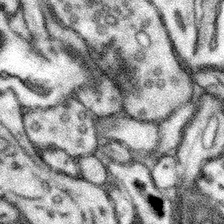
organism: Mouse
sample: Somatosensory cortex neuropil